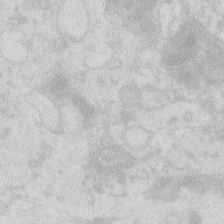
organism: Zebrafish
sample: Macrophage